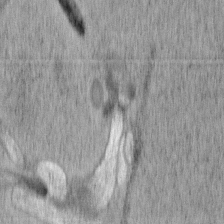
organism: Human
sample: HeLa cells